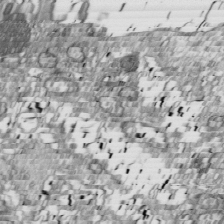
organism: Drosophila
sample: Cell division; meiosis; drosophila spermatocytes